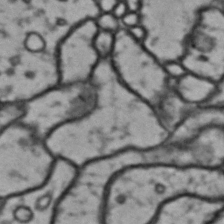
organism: Drosophila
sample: Brain